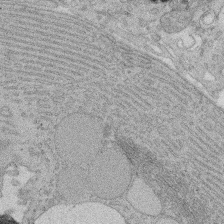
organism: Rat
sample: Salivary granule